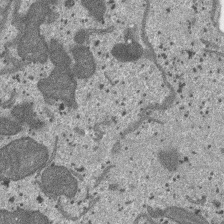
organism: Human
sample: Lung epithelial cells infected with SARS-CoV-2